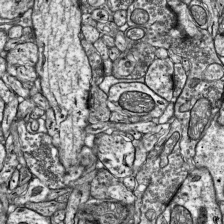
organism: Mouse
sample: Visual Cortex